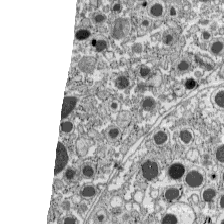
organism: C57BL Mouse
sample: Pancreatic islet